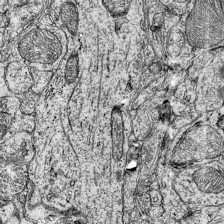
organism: Mouse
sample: Visual Cortex